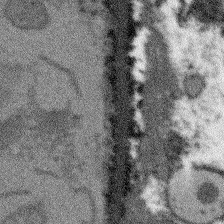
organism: Arabidopsis thaliana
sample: Root tip